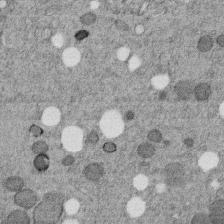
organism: C. elegans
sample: C. elegans embryo early stage